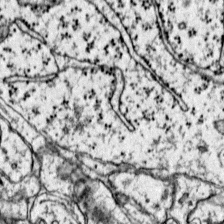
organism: Mouse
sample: Primary visual cortex